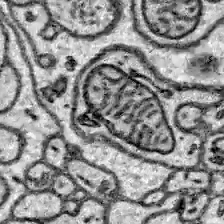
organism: Zebrafish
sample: Brain